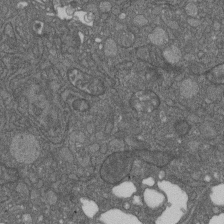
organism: Drosophila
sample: Nephrocyte